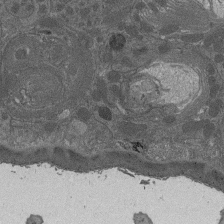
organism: Drosophila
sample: Antenna